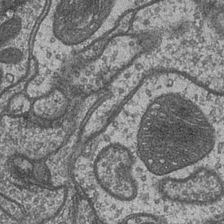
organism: Drosophila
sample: Optic medulla